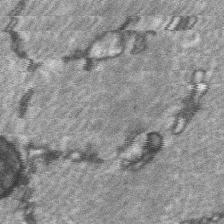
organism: C57BL Mouse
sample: Soleus